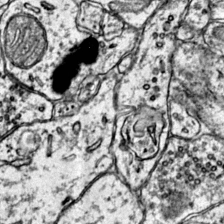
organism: Mouse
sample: Primary visual cortex